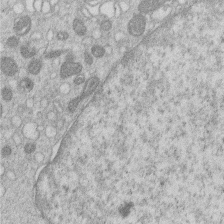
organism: Human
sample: Macrophage cells